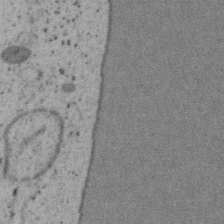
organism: Human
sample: HeLa cells